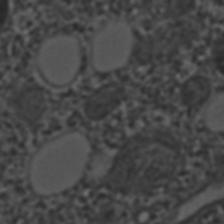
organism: C. elegans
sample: C. elegans embryo